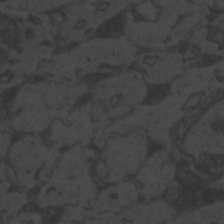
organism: Zebrafish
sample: Macrophage infected with Toxoplasma gondii